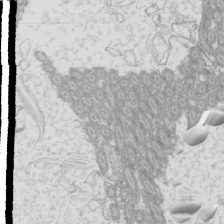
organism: Mouse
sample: Cilia; mouse epididymis